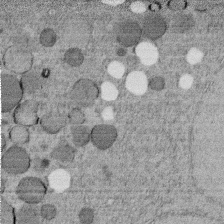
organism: C. elegans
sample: C. elegans embryo early stage